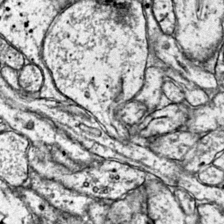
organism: Mouse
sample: Primary visual cortex